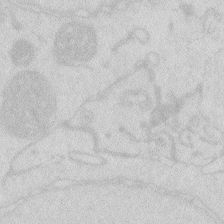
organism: Zebrafish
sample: Macrophage